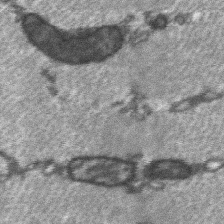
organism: C57BL Mouse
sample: Soleus